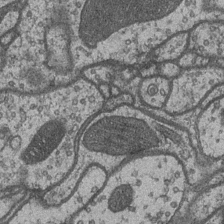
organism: Drosophila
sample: Optic medulla